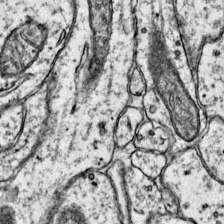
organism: Mouse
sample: Primary visual cortex